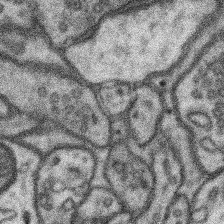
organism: Mouse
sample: Somatosensory cortex neuropil